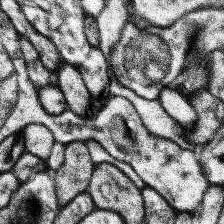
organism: Human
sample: Temporal Lobe